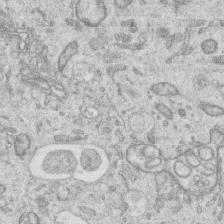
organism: Human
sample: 1205lu cells